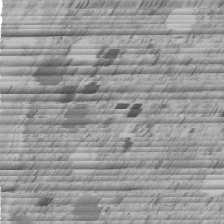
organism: C. elegans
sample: C. elegans embryo early stage